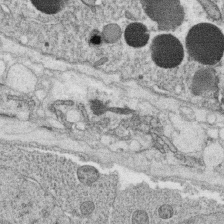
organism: C. elegans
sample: C. elegans oocyte; sperm cells